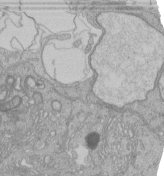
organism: Human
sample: Retinal organoid Rod and Cone cells